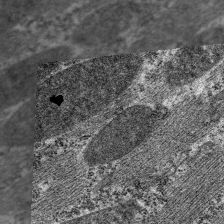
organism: C. elegans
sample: Pharynx